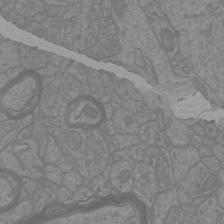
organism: Mouse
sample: Cortical neurons